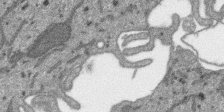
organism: Human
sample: Lung epithelial cells infected with SARS-CoV-2